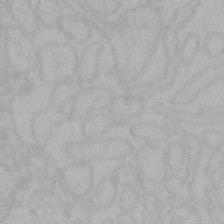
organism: Mouse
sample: Choroid plexus